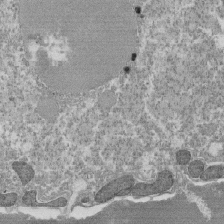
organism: Tetrahymena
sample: Cilia in tetrahymena